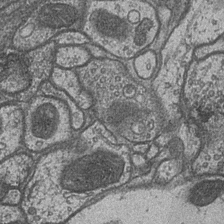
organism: Drosophila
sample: Optic medulla